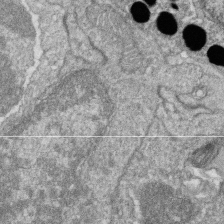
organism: Zebrafish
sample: Cilia; retinal pigment epithelium